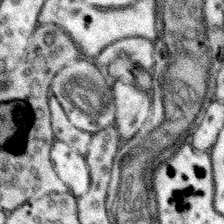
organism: Mouse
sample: Somatosensory cortex neuropil